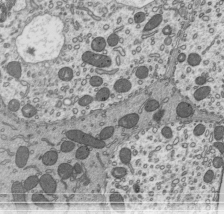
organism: Mouse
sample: Mouse epididymis efferent ductule cilia